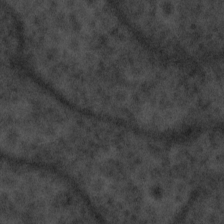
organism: Tuwongella immobilis